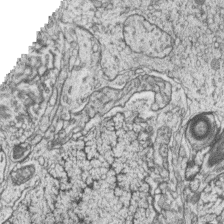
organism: Zebrafish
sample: synaptic ribbons in rod cells and cone cells